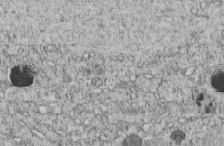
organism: C. elegans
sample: C. elegans embryo early stage